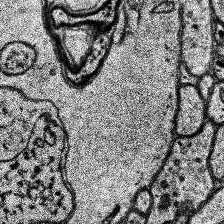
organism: Human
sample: Temporal Lobe